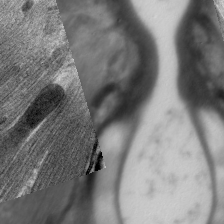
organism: C. elegans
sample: Pharynx